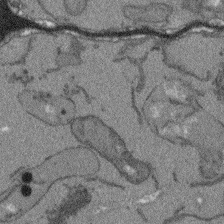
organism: Arabidopsis thaliana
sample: Root tip